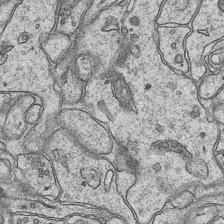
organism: Mouse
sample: CA1 Hippocampus